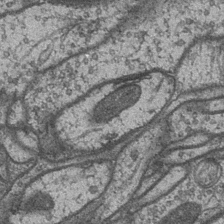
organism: Drosophila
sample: Optic medulla